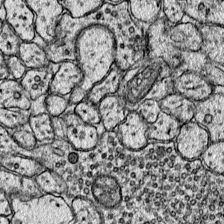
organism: Mouse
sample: Primary visual cortex